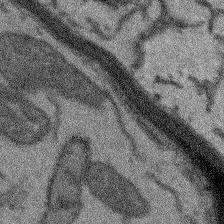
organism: Arabidopsis thaliana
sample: Root tip